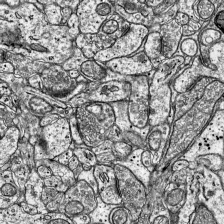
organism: Mouse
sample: Visual Cortex